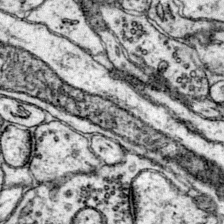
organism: Mouse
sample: Primary visual cortex